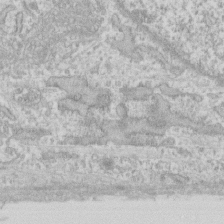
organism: Human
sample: Fibroblast cells